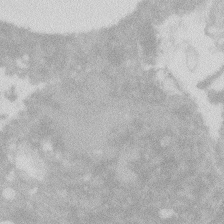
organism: Zebrafish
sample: Macrophage